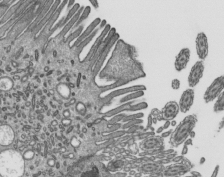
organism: Mouse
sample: Mouse epididymis efferent ductule cilia